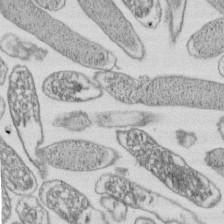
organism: E. coli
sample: Bacterial nucleoid